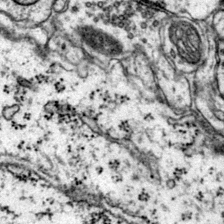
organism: Mouse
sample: Primary visual cortex